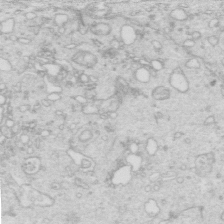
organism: Mouse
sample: Multiciliated cells